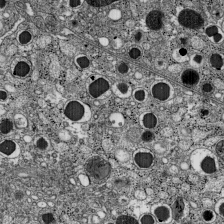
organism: C57BL Mouse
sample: Pancreatic islet